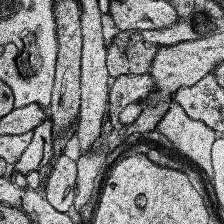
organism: Human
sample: Temporal Lobe